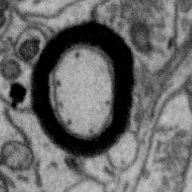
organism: Zebra finch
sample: Brain